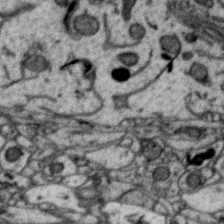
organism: Zebra finch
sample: Brain